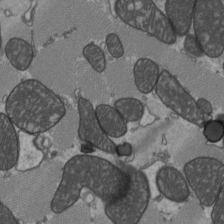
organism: C57BL Mouse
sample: Heart